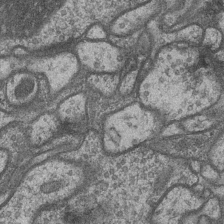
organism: Drosophila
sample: Optic medulla